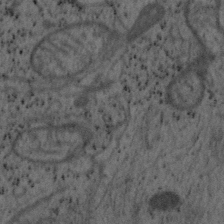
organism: Human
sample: HeLa cells